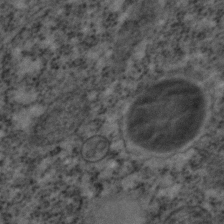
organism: C. elegans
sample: C. elegans embryo